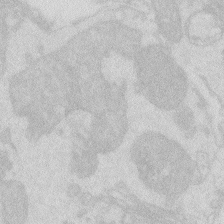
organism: Zebrafish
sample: Macrophage